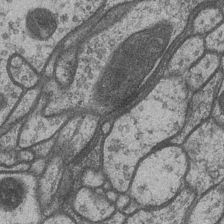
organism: Drosophila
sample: Optic medulla